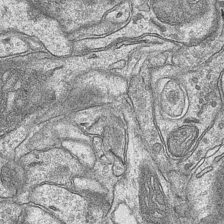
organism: Mouse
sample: CA1 Hippocampus